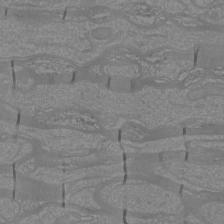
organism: Mouse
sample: Cortical neurons